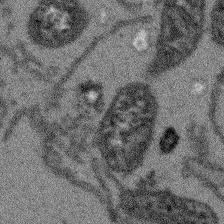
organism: Arabidopsis thaliana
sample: Root tip